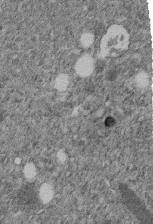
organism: C. elegans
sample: C. elegans embryo early stage